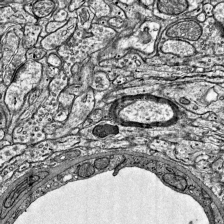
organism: Mouse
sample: Visual Cortex